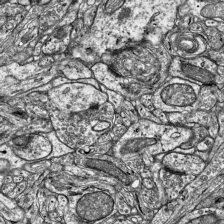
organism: Mouse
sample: Visual Cortex